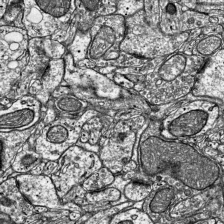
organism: Mouse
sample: Visual Cortex